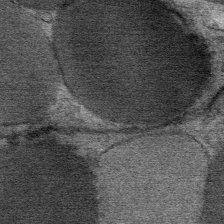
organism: Mouse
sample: Mouse Salivary gland